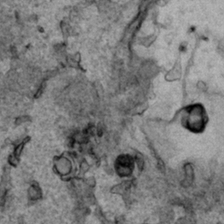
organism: Human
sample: Mitochondria in HCT116 cells